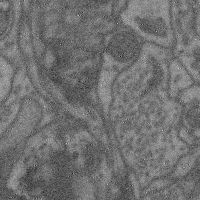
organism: Mouse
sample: Cerebral cortex